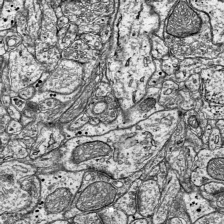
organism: Mouse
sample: Visual Cortex